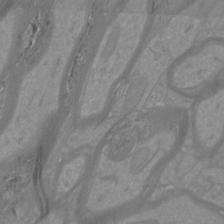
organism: Mouse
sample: Cortical neurons